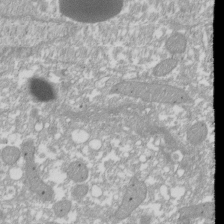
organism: Xenopus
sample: Cilia; centrioles in frog embryo cells